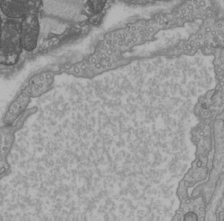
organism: C57BL Mouse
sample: Heart